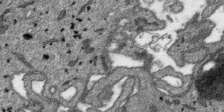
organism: Human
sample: Lung epithelial cells, uninfected (mock) control